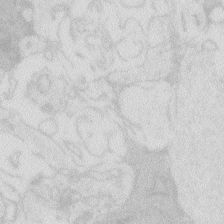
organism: Zebrafish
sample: Macrophage